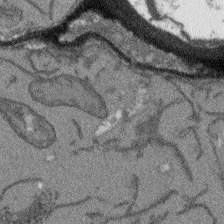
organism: Arabidopsis thaliana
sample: Root tip